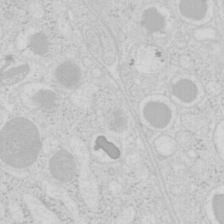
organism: Mouse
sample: Pancreas